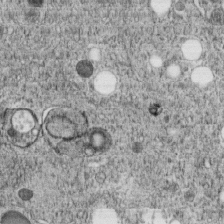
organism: C. elegans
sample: C. elegans embryo early stage